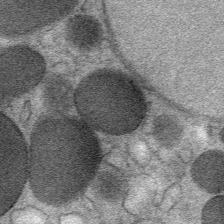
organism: Mouse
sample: Mouse Salivary gland